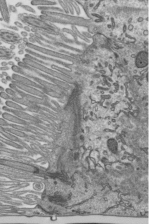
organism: Mouse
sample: Mouse epididymis efferent ductule cilia